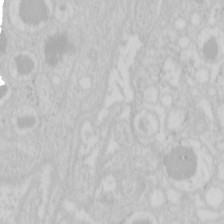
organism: Mouse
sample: Pancreas